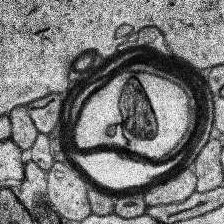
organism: Human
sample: Temporal Lobe